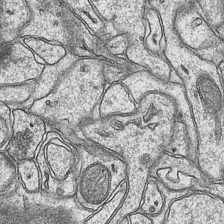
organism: Mouse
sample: CA1 Hippocampus